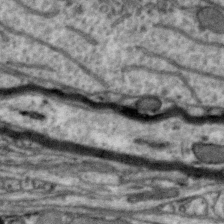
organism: Zebra finch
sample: Brain